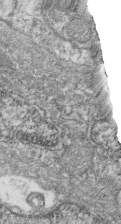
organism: Zebrafish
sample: Cilia; retinal pigment epithelium